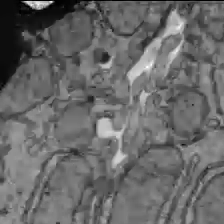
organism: C57BL Mouse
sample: Liver